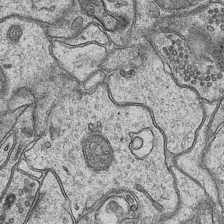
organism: Mouse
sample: CA1 Hippocampus